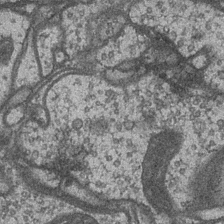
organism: Drosophila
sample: Optic medulla